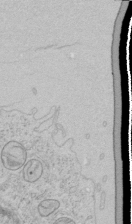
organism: Human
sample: Mitochondria in HCT116 cells